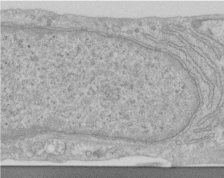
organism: Human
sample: Centriole in RPE cells